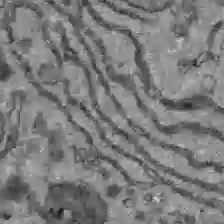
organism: C57BL Mouse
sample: Liver